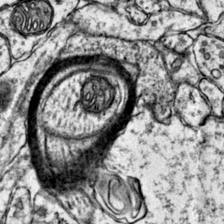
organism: Mouse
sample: Primary visual cortex